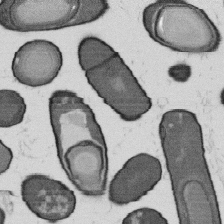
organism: B. subtilis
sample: Bacterial spore